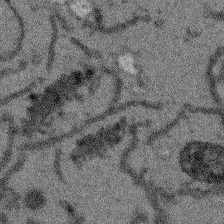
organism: Arabidopsis thaliana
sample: Root tip